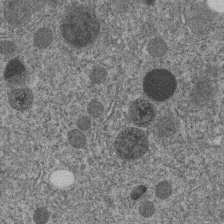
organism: C. elegans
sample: C. elegans embryo early stage